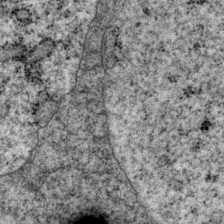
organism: P. pacificus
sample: Pharynx